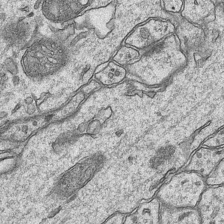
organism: Mouse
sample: CA1 Hippocampus